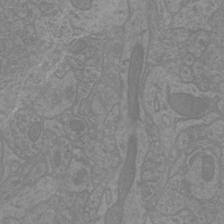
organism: Mouse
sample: Cortical neurons